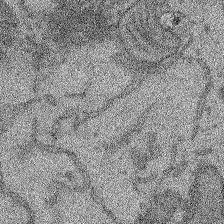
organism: Human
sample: HeLa cells